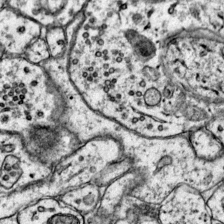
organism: Mouse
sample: Primary visual cortex